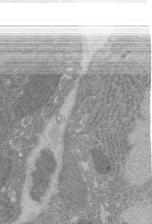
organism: Rat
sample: Salivary granule